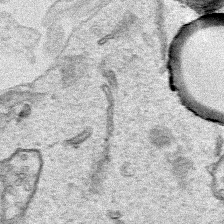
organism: Human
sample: Mitochondria in HCT116 cells